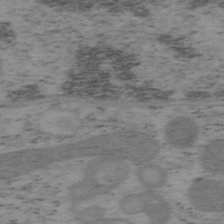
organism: Mouse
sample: OT-I killer T cells with ID8 ovarian cancer cells